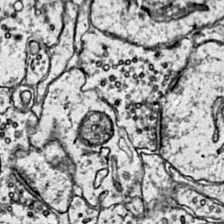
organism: Mouse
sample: Primary visual cortex